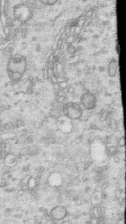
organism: Human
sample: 1205lu cells